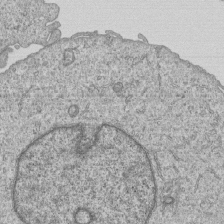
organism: Human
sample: MDA-MB-231 cells